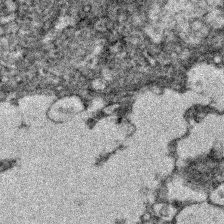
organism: Zebrafish